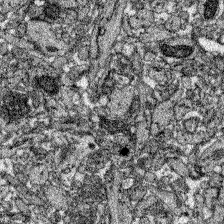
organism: Zebrafish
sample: Larval olfactory bulb